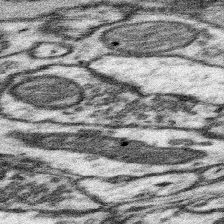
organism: Mouse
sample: Somatosensory cortex neuropil